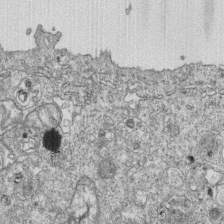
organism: Human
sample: HeLa cell HIV synapse